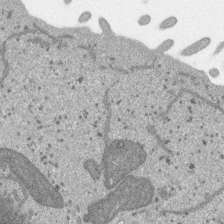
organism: Human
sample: Lung epithelial cells infected with SARS-CoV-2